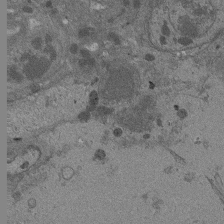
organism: Drosophila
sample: Antenna